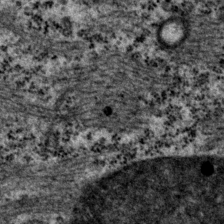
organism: P. pacificus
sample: Pharynx